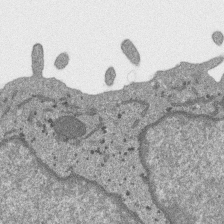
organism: Human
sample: Lung epithelial cells infected with SARS-CoV-2